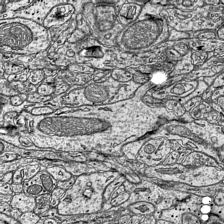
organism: Mouse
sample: Visual Cortex